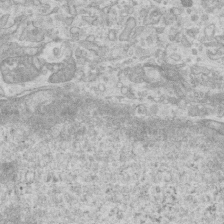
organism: Mouse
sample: Centriole in ependymal cells